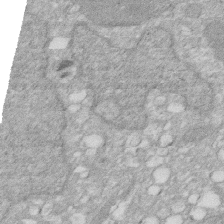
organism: Human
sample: HIV infected U937 cells